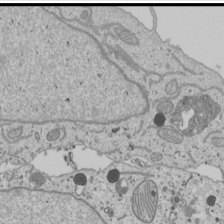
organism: Human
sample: Mitochondria in U2OS cells